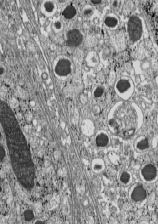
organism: C57BL Mouse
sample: Pancreatic islet